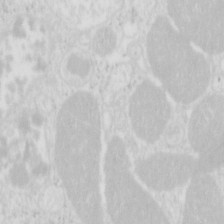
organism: Mouse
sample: Pancreas